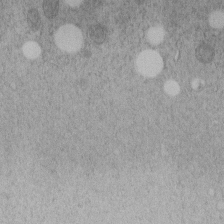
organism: C. elegans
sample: C. elegans embryo early stage